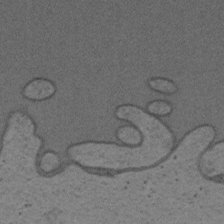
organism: Human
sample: HeLa cells